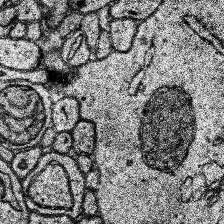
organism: Human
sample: Temporal Lobe